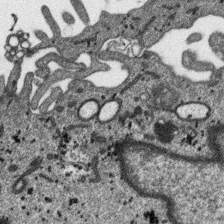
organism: Human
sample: Lung epithelial cells infected with SARS-CoV-2